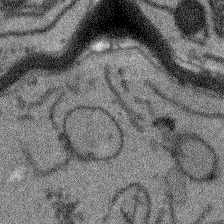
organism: Arabidopsis thaliana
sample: Root tip